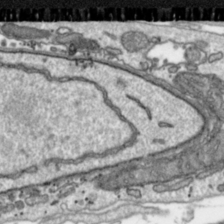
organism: Toxoplasma gondii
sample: Parasites in a vacuole inside a host cell